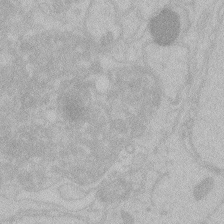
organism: Zebrafish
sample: Macrophage infected with Toxoplasma gondii